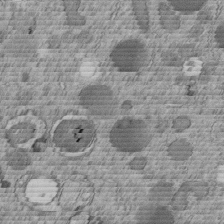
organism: C. elegans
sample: C. elegans embryo early stage